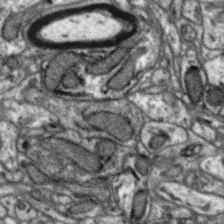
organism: Zebra finch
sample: Brain